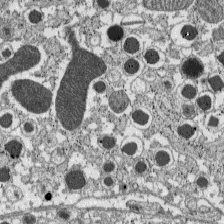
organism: C57BL Mouse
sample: Pancreatic islet